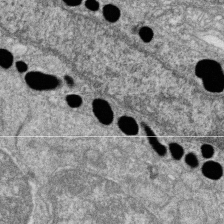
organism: Zebrafish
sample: Cilia; retinal pigment epithelium